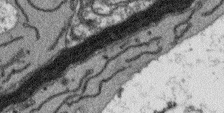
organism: Arabidopsis thaliana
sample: Root tip